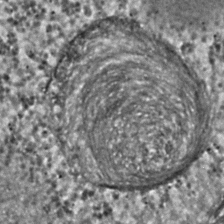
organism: C. elegans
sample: C. elegans embryo